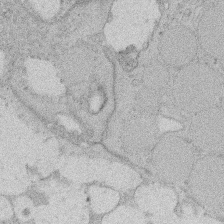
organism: Rat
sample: Salivary granule